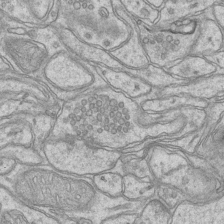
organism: Mouse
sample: CA1 Hippocampus